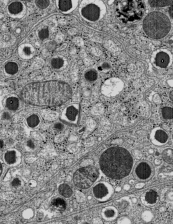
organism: C57BL Mouse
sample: Pancreatic islet